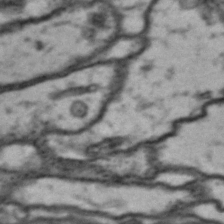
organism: Drosophila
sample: Brain